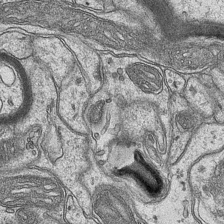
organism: Mouse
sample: CA1 Hippocampus